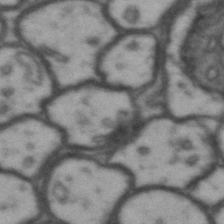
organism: Drosophila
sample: Brain